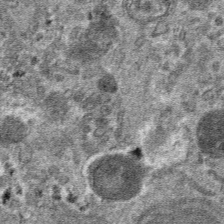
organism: Mouse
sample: Mouse hepatocytes